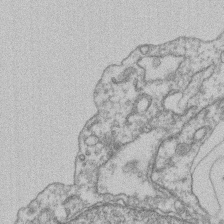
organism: Mouse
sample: T cell stromal cell synapse